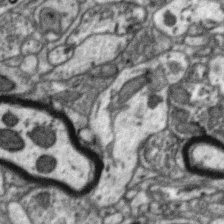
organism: Zebra finch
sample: Brain